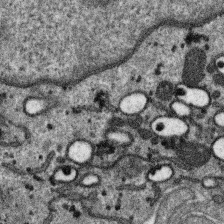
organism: Human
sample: Lung epithelial cells infected with SARS-CoV-2